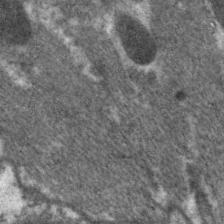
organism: C. elegans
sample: Pharynx